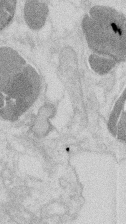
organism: Mouse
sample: T cell stromal cell synapse